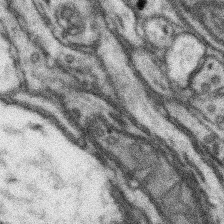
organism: Mouse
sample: Somatosensory cortex neuropil